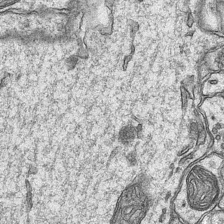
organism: Mouse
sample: CA1 Hippocampus